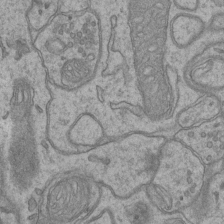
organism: Mouse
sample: CA1 Hippocampus